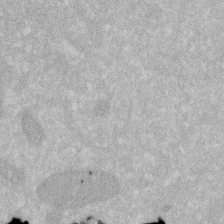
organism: Human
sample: HIV infected U937 cells